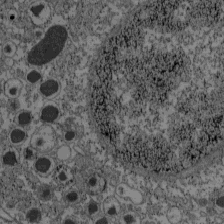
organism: C57BL Mouse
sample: Pancreatic islet